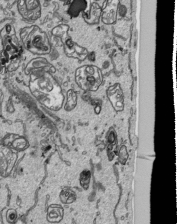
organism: Human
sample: Mitochondria in HCT116 cells